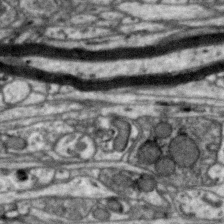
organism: Zebra finch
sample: Brain